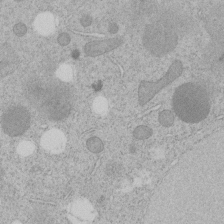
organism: C. elegans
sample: C. elegans embryo early stage